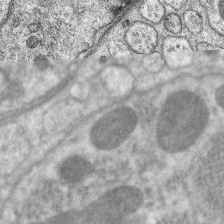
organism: C. elegans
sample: Pharynx